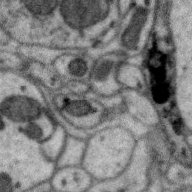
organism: Zebra finch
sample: Brain